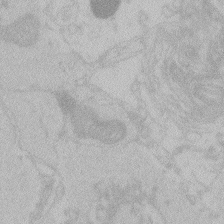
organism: Zebrafish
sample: Macrophage infected with Toxoplasma gondii